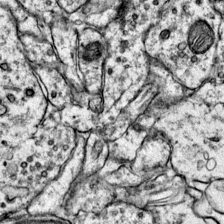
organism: Mouse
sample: Primary visual cortex